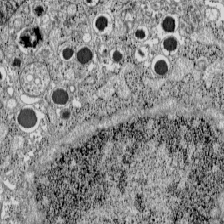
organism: C57BL Mouse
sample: Pancreatic islet